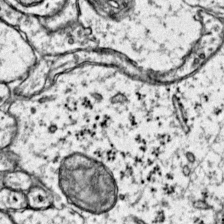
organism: Mouse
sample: Primary visual cortex